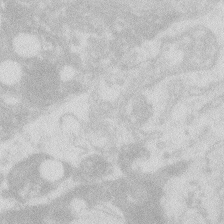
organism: Zebrafish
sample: Macrophage